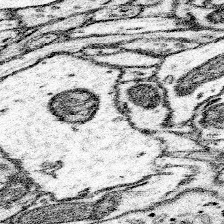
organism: Mouse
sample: Somatosensory cortex neuropil